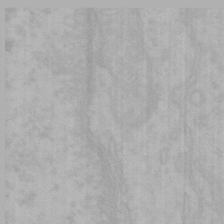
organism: Mouse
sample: Choroid plexus